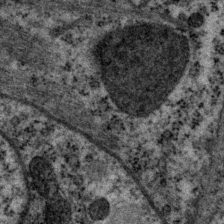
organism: P. pacificus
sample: Pharynx